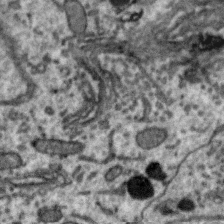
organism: Zebra finch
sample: Brain